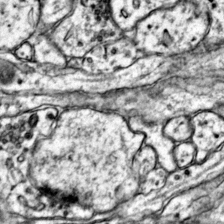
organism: Mouse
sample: Primary visual cortex